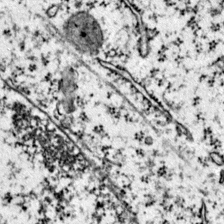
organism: Mouse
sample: Primary visual cortex